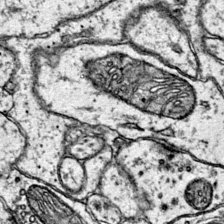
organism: Mouse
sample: Primary visual cortex